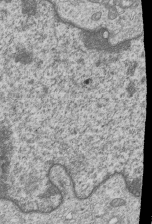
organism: Human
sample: MDA-MB-231 cells